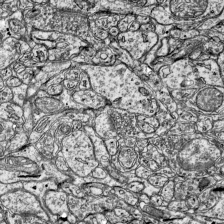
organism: Mouse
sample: Visual Cortex